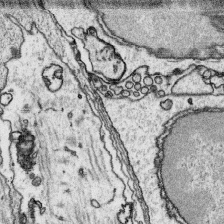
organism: Platynereis dumerilii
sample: Parapodia